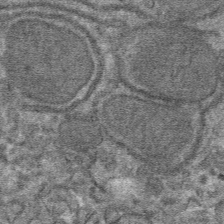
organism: Mouse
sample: Mouse hepatocytes